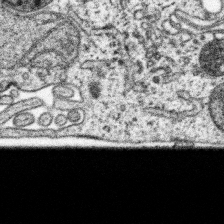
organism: Human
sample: HeLa cells